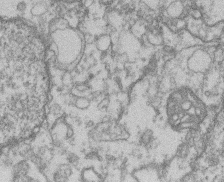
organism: Mouse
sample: T cell stromal cell synapse